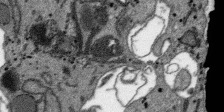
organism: Human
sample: Lung epithelial cells, uninfected (mock) control